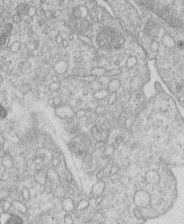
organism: Human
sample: Macrophage cells